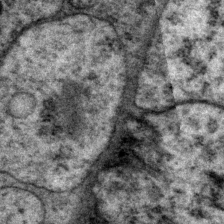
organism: P. pacificus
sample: Pharynx